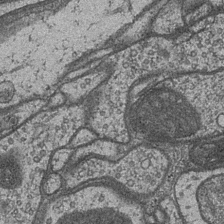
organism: Drosophila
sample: Optic medulla